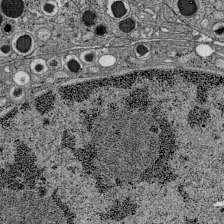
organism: C57BL Mouse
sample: Pancreatic islet